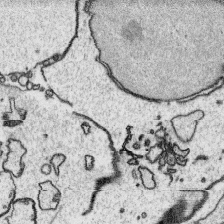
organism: Platynereis dumerilii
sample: Parapodia